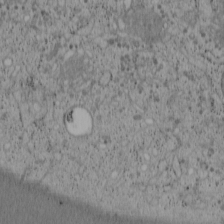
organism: African green monkey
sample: COS-7 cells